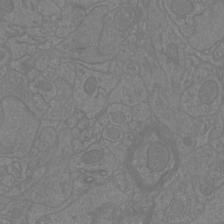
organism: Mouse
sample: Cortical neurons